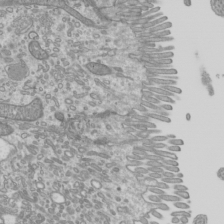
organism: Mouse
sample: Cilia; mouse epididymis